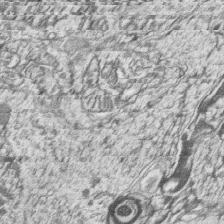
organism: Zebrafish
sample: synaptic ribbons in rod cells and cone cells